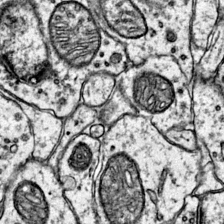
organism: Mouse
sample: Primary visual cortex